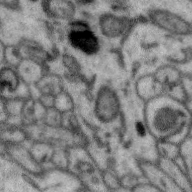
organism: Zebra finch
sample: Brain